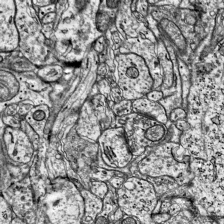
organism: Mouse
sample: Visual Cortex